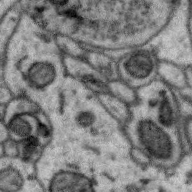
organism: Zebra finch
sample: Brain